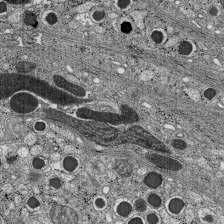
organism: C57BL Mouse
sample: Pancreatic islet